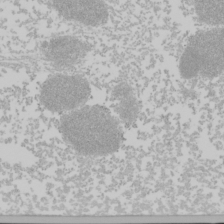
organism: Mouse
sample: Cancer cell death in ED-1 cells